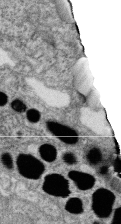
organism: Zebrafish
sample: Cilia; retinal pigment epithelium